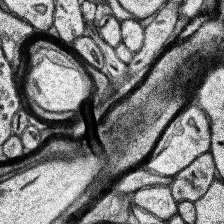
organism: Human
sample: Temporal Lobe